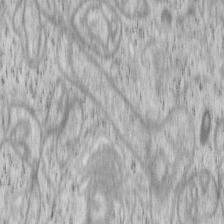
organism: Human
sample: HeLa cells